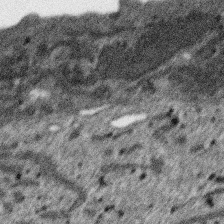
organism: Human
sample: Lung epithelial cells infected with SARS-CoV-2